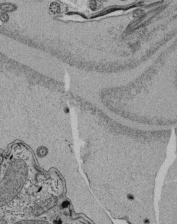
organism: Tetrahymena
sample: Cilia in tetrahymena